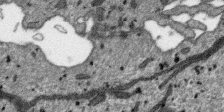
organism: Human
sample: Lung epithelial cells, uninfected (mock) control